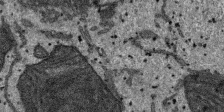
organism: Human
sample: Lung epithelial cells, uninfected (mock) control